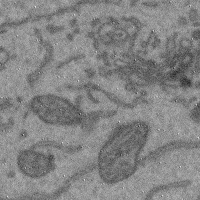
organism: Mouse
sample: Cerebral cortex